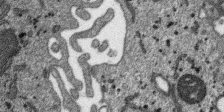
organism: Human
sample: Lung epithelial cells infected with SARS-CoV-2